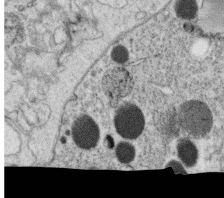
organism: C. elegans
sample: C. elegans oocyte; sperm cells